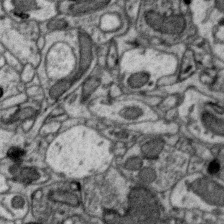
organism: Zebra finch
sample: Brain